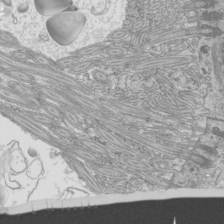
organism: Mouse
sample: Cilia; mouse epididymis